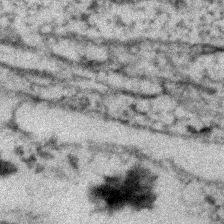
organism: Zebrafish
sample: Zebrafish embryo